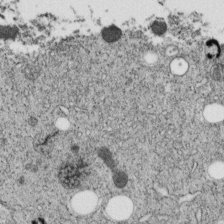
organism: C. elegans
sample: C. elegans embryo early stage